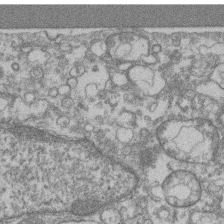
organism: Mouse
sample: T cell stromal cell synapse